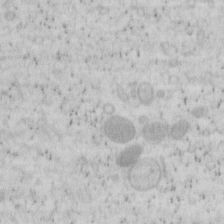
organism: Human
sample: HeLa cells